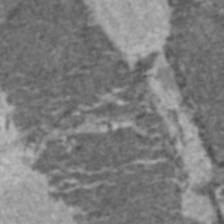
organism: C57BL Mouse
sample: Heart